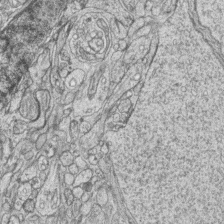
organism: Zebrafish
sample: synaptic ribbons in rod cells and cone cells